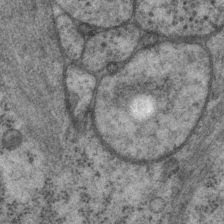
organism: P. pacificus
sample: Pharynx